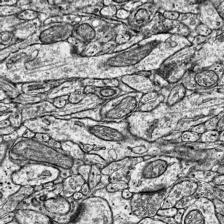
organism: Mouse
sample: Visual Cortex